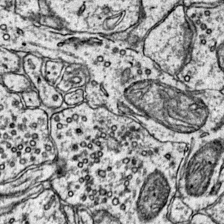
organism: Mouse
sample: Primary visual cortex